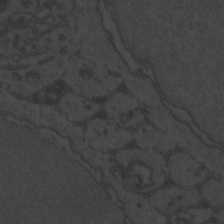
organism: Zebrafish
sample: Macrophage infected with Toxoplasma gondii